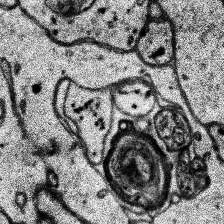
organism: Human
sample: Temporal Lobe